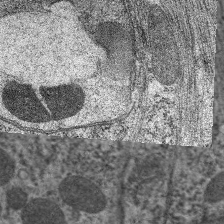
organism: C. elegans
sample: Pharynx